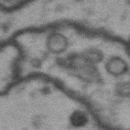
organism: Drosophila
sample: Brain